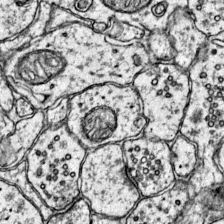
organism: Mouse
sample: Primary visual cortex